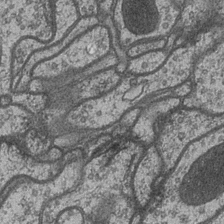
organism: Drosophila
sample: Optic medulla